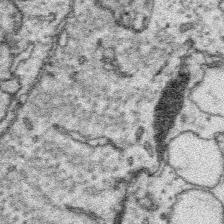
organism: Platynereis dumerilii